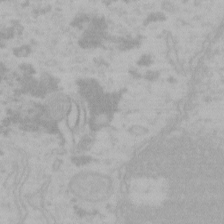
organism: Mouse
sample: Choroid plexus